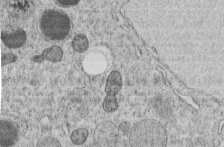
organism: C. elegans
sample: C. elegans embryo early stage